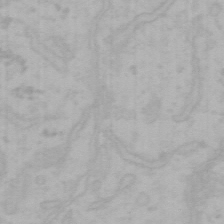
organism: Mouse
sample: Choroid plexus